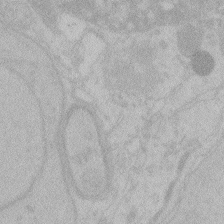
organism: Zebrafish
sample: Macrophage infected with Toxoplasma gondii